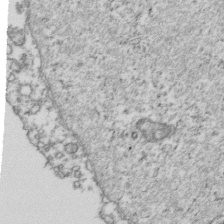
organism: Human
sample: Activated Jurkat CD4+ T cells